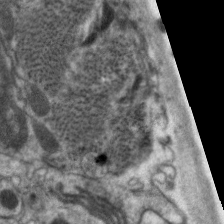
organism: C. elegans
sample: Pharynx